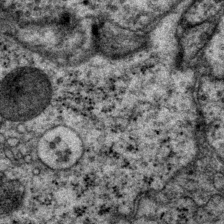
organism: P. pacificus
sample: Pharynx